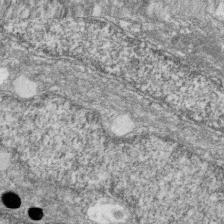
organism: Zebrafish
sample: Cilia; retinal pigment epithelium